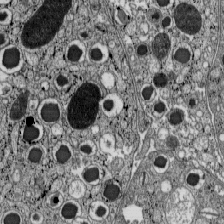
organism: C57BL Mouse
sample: Pancreatic islet